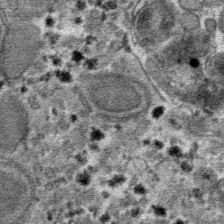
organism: Mouse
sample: Mouse hepatocytes